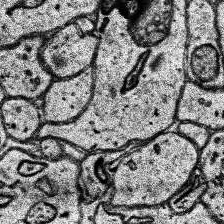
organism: Human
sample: Temporal Lobe